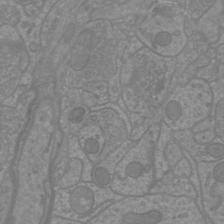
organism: Mouse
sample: Cortical neurons